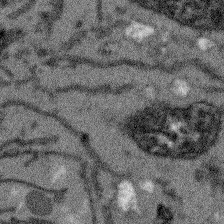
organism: Arabidopsis thaliana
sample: Root tip